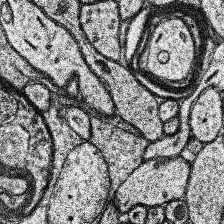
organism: Human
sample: Temporal Lobe